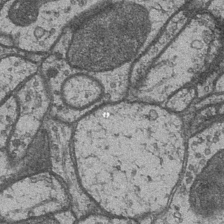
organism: Drosophila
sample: Optic medulla